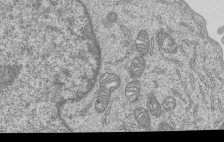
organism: Human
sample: MDA-MB-231 cells